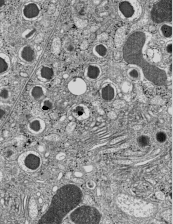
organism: C57BL Mouse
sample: Pancreatic islet